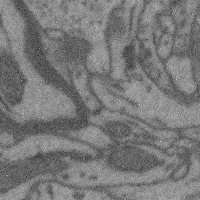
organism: Mouse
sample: Cerebral cortex